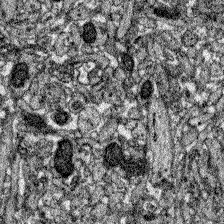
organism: Zebrafish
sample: Larval olfactory bulb